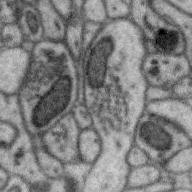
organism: Zebra finch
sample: Brain